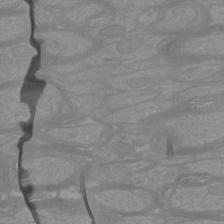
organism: Mouse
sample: Cortical neurons